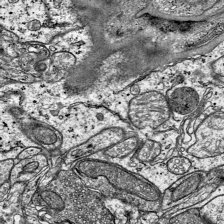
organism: Mouse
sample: Visual Cortex